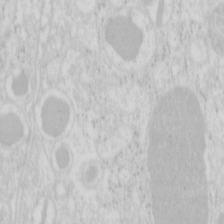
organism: Mouse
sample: Pancreas